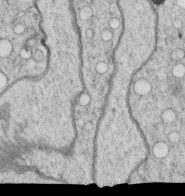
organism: C. elegans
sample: C. elegans oocyte; sperm cells